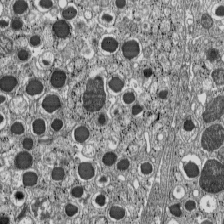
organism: C57BL Mouse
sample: Pancreatic islet